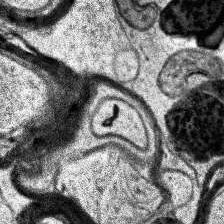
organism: Human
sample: Temporal Lobe